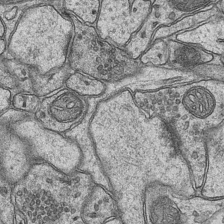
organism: Mouse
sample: CA1 Hippocampus